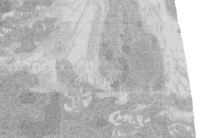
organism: Rat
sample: Salivary granule